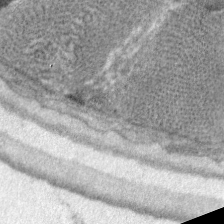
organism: C. elegans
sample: Pharynx